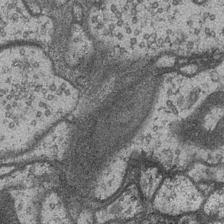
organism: Drosophila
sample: Optic medulla